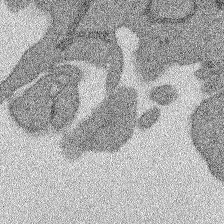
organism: Human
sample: HeLa cells